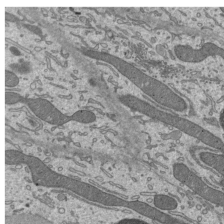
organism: Mouse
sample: Mouse epididymis efferent ductule cilia